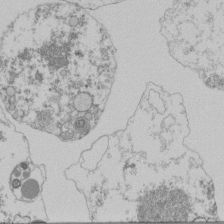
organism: Mouse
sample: Activated Pmel transgenic CD8+ T Cells